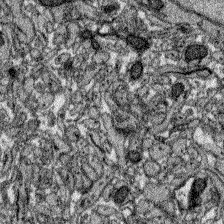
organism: Zebrafish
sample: Larval olfactory bulb